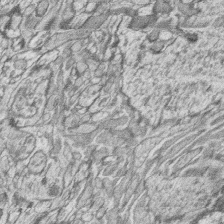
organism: Zebrafish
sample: synaptic ribbons in rod cells and cone cells